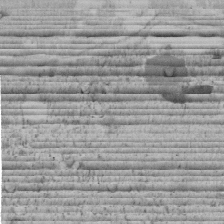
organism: C. elegans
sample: C. elegans embryo early stage